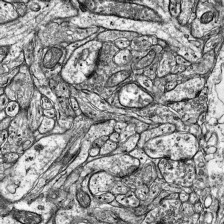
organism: Mouse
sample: Visual Cortex